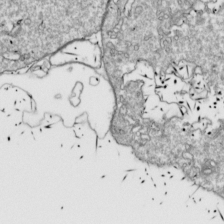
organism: Drosophila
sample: Cell division; meiosis; drosophila spermatocytes